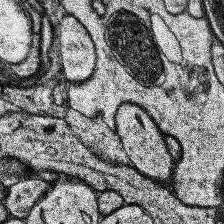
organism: Human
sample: Temporal Lobe